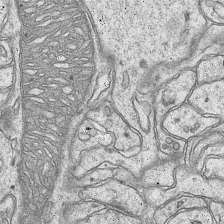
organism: Mouse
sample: CA1 Hippocampus